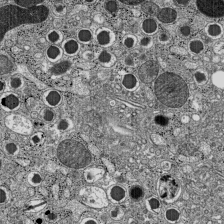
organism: C57BL Mouse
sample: Pancreatic islet